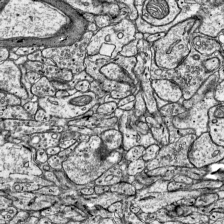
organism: Mouse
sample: Visual Cortex